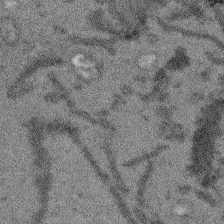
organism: Arabidopsis thaliana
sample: Root tip